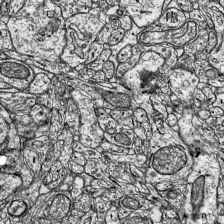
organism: Mouse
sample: Visual Cortex